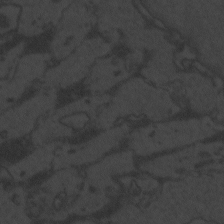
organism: Zebrafish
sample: Macrophage infected with Toxoplasma gondii